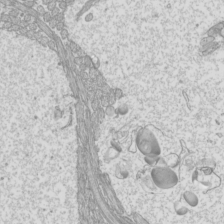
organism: Mouse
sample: Cilia; mouse epididymis